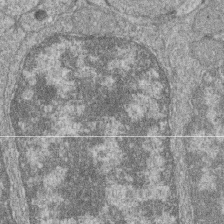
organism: Zebrafish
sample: Cilia; retinal pigment epithelium